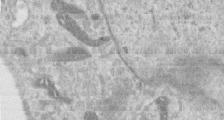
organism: Human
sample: Centriole in RPE cells